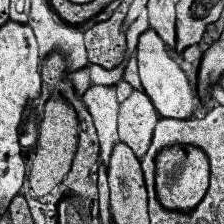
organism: Human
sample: Temporal Lobe